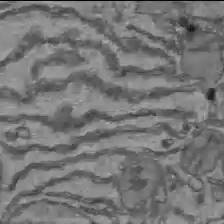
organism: C57BL Mouse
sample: Liver